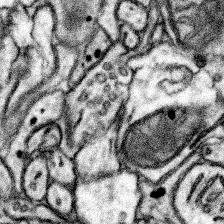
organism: Mouse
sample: Somatosensory cortex neuropil